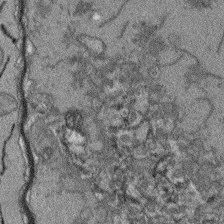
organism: Arabidopsis thaliana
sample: Root tip